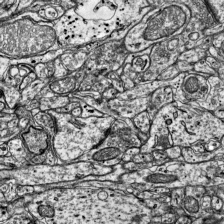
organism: Mouse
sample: Visual Cortex